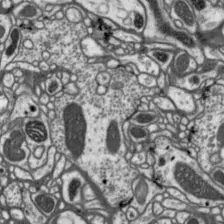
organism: Drosophila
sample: Protocerebral bridge